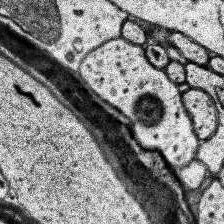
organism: Human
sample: Temporal Lobe